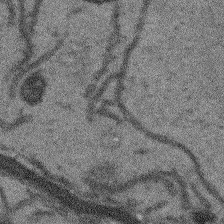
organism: Arabidopsis thaliana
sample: Root tip